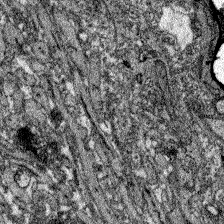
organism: Zebrafish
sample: Larval olfactory bulb